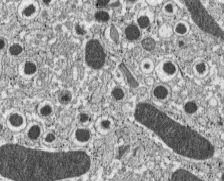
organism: C57BL Mouse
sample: Pancreatic islet